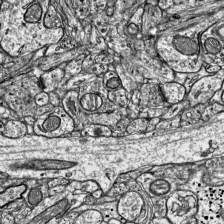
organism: Mouse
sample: Visual Cortex